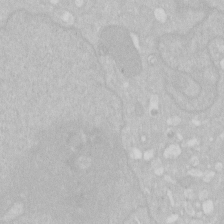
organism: Human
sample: HIV infected U937 cells